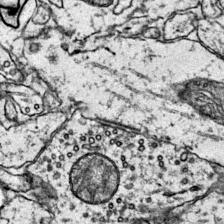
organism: Mouse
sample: Primary visual cortex